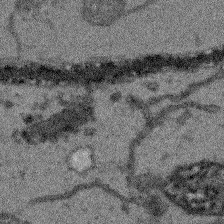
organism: Arabidopsis thaliana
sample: Root tip